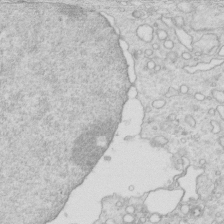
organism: Mouse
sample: Multiciliated cells